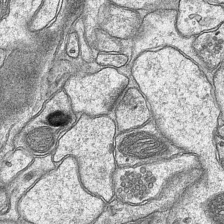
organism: Mouse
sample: CA1 Hippocampus